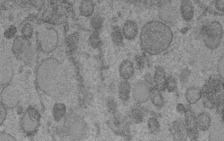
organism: C. elegans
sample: C. elegans embryo early stage